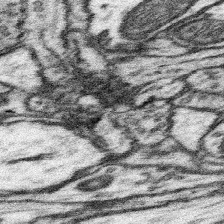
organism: Mouse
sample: Somatosensory cortex neuropil